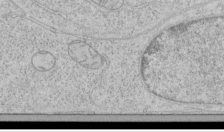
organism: Human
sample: Mitochondria in HCT116 cells